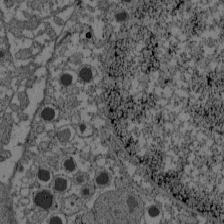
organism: C57BL Mouse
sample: Pancreatic islet